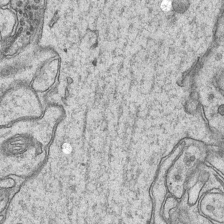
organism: Mouse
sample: CA1 Hippocampus